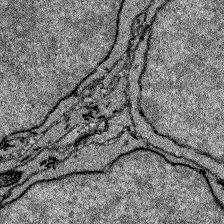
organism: Zebrafish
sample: Larval olfactory bulb